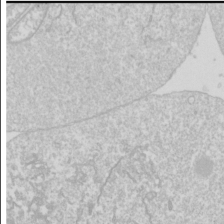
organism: Drosophila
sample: Cell division; meiosis; drosophila spermatocytes